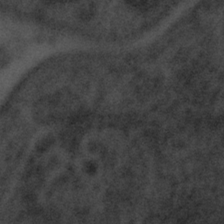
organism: Tuwongella immobilis